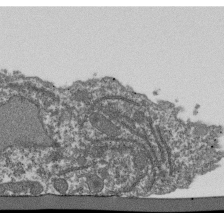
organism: Dictyostelium discoideum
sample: Dictyostelium multivesicular bodies